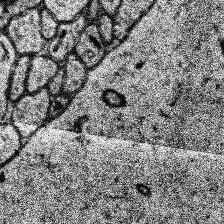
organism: Human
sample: Temporal Lobe